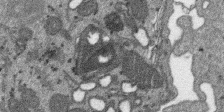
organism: Human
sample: Lung epithelial cells infected with SARS-CoV-2